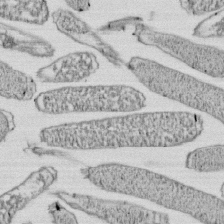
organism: E. coli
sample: Bacterial nucleoid